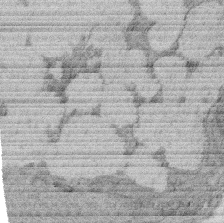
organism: Rat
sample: Salivary granule